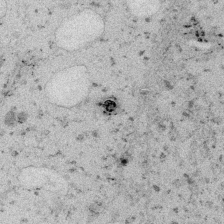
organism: Embia sp.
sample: Silk gland